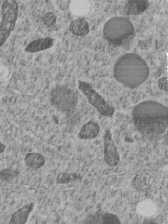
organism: C. elegans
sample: C. elegans embryo early stage